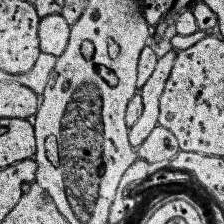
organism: Human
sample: Temporal Lobe